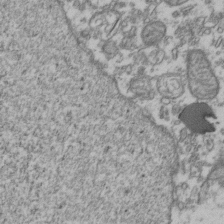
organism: Human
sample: Activated Jurkat CD4+ T cells